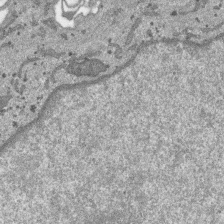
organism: Human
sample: Lung epithelial cells infected with SARS-CoV-2